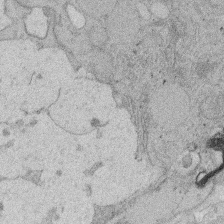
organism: Rat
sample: Salivary granule